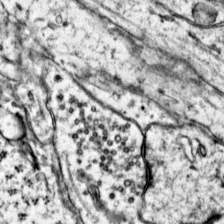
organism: Mouse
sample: Primary visual cortex